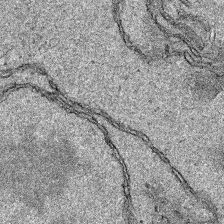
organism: Human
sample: Mitochondria in HCT116 cells